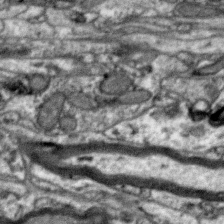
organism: Zebra finch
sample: Brain